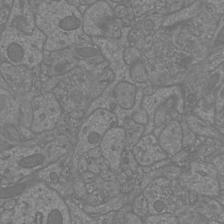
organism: Mouse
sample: Cortical neurons